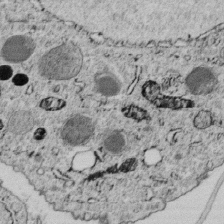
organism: C. elegans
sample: C. elegans embryo early stage